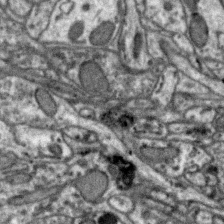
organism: Zebra finch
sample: Brain